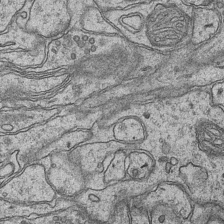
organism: Mouse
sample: CA1 Hippocampus